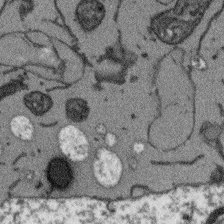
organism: Arabidopsis thaliana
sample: Root tip